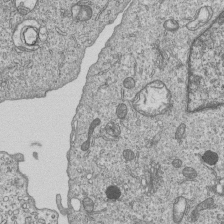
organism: Human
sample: MDA-MB-231 cells